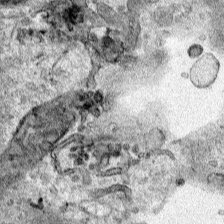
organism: Human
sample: Mitochondria in HCT116 cells